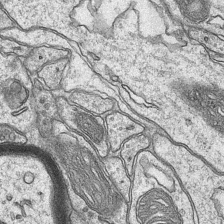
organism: Mouse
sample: CA1 Hippocampus